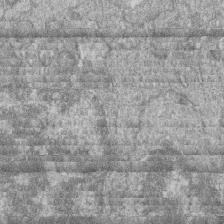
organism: Zebrafish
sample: Cilia; retinal pigment epithelium